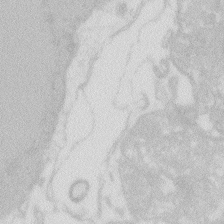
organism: Zebrafish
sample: Macrophage